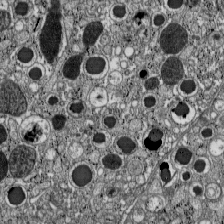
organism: C57BL Mouse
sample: Pancreatic islet